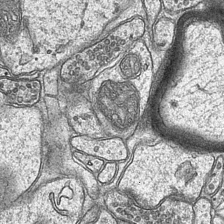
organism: Mouse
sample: CA1 Hippocampus